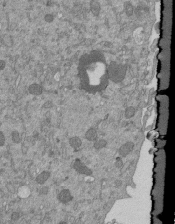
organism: Mouse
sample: ED-1 cell nuclei; centrioles